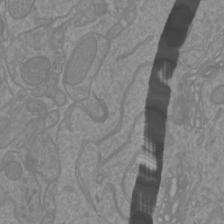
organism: Mouse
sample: Cortical neurons